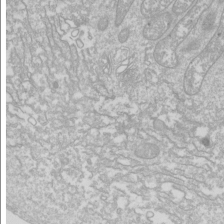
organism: Drosophila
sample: Cell division; meiosis; drosophila spermatocytes